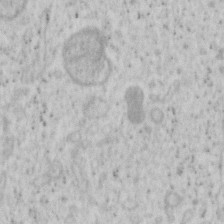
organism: Human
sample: HeLa cells